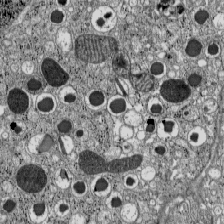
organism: C57BL Mouse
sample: Pancreatic islet